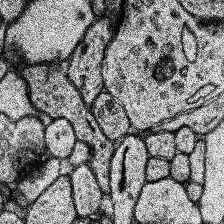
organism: Human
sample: Temporal Lobe